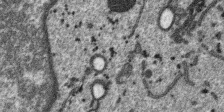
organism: Human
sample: Lung epithelial cells infected with SARS-CoV-2